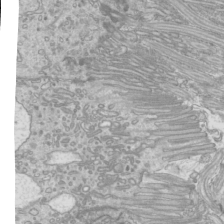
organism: Mouse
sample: Cilia; mouse epididymis